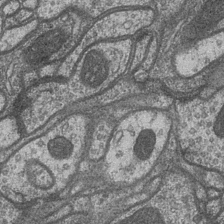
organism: Drosophila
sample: Optic medulla